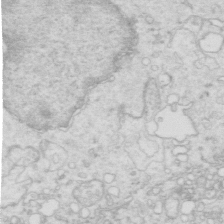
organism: Mouse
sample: Multiciliated cells